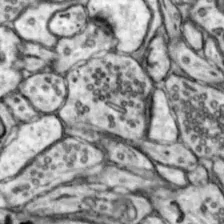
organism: Mouse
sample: Nucleus accumbens